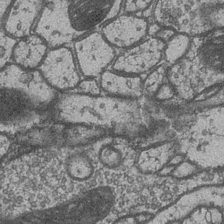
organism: Drosophila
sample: Optic medulla